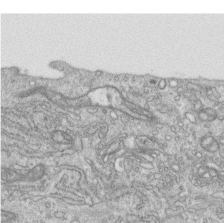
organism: Human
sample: Centriole in RPE cells